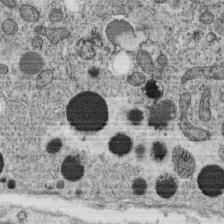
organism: C. elegans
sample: C. elegans oocyte; sperm cells